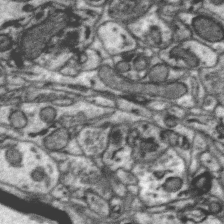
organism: Zebra finch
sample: Brain